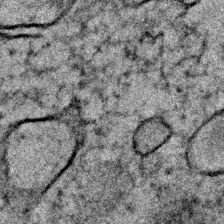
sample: Trachea